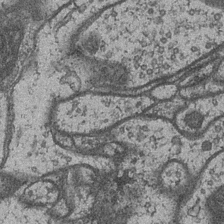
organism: Drosophila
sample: Optic medulla